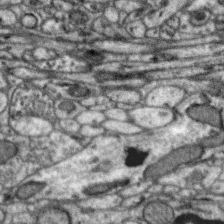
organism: Zebra finch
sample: Brain